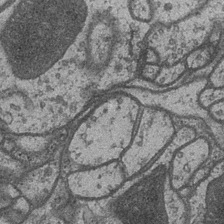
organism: Drosophila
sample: Optic medulla